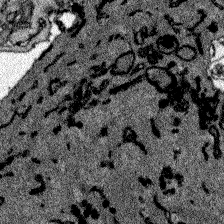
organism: Zebrafish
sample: Larval olfactory bulb